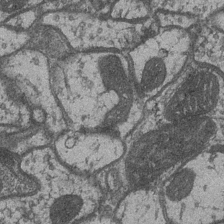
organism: Drosophila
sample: Optic medulla